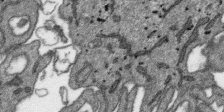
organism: Human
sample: Lung epithelial cells, uninfected (mock) control